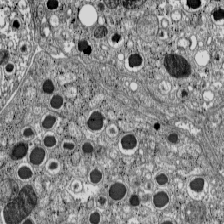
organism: C57BL Mouse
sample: Pancreatic islet